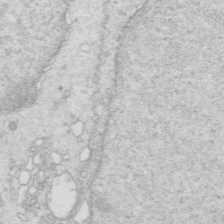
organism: Mouse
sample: Multiciliated cells